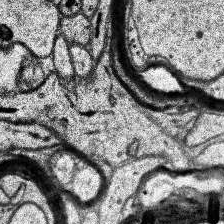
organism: Human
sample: Temporal Lobe